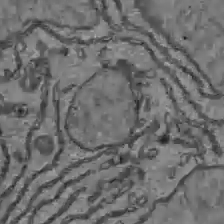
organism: C57BL Mouse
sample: Liver